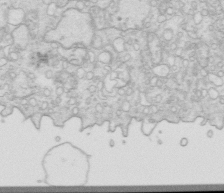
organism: Mouse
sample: Multiciliated cells